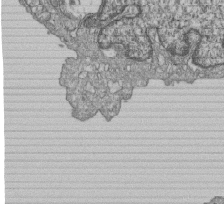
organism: Human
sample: MDA-MB-231 cells